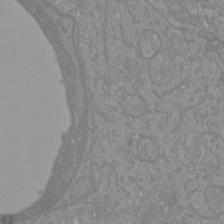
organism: Mouse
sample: Cortical neurons